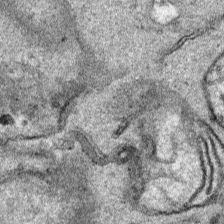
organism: Human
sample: Mitochondria in HCT116 cells